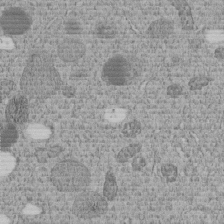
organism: C. elegans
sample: C. elegans embryo early stage